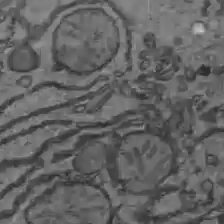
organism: C57BL Mouse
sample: Liver